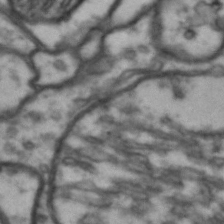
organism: Drosophila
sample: Brain